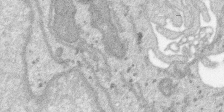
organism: Human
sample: Lung epithelial cells infected with SARS-CoV-2